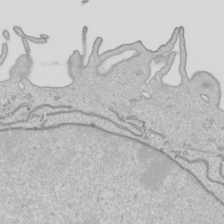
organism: Human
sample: Mitochondria in HCT116 cells